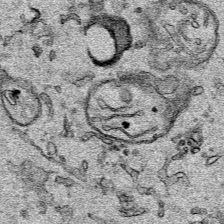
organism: Human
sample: Mitochondria in HCT116 cells